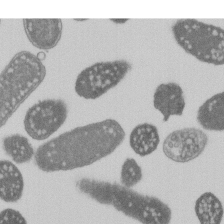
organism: E. coli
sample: Bacterial nucleoid